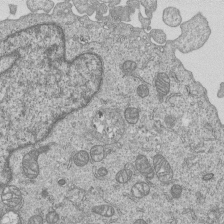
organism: Human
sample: MDA-MB-231 cells